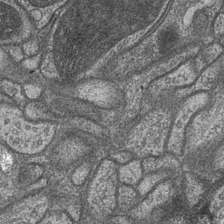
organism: Drosophila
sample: Optic medulla